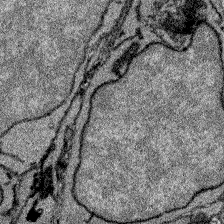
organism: Zebrafish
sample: Larval olfactory bulb